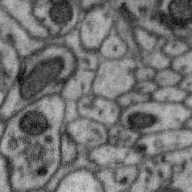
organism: Zebra finch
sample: Brain